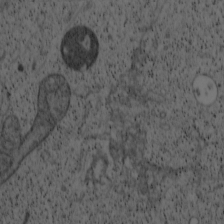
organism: African green monkey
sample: COS-7 cells